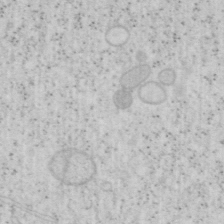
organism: Human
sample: HeLa cells